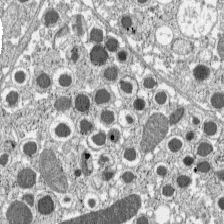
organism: C57BL Mouse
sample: Pancreatic islet